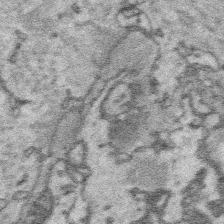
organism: Platynereis dumerilii